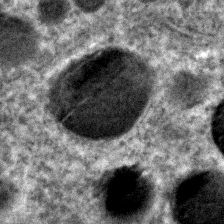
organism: C. elegans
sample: C. elegans embryo